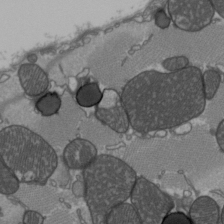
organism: C57BL Mouse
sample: Heart